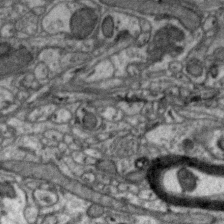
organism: Zebra finch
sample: Brain